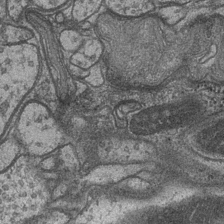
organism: Drosophila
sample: Optic medulla